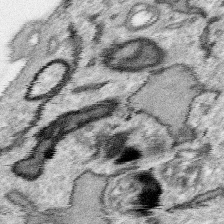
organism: Human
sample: HeLa cells